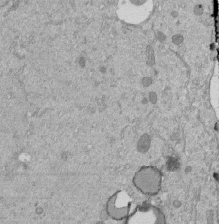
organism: Mouse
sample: ED-1 cell nuclei; centrioles